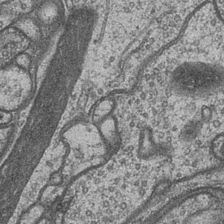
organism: Drosophila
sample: Optic medulla